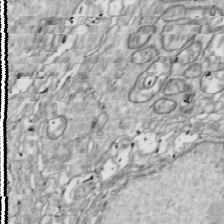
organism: Drosophila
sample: Cell division; meiosis; drosophila spermatocytes